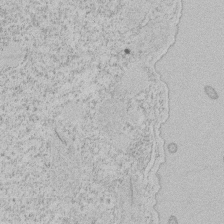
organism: Tetrahymena